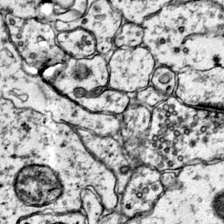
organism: Mouse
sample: Primary visual cortex